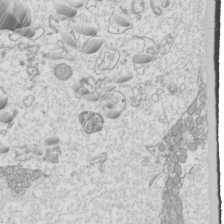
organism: Mouse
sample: Cilia; mouse epididymis